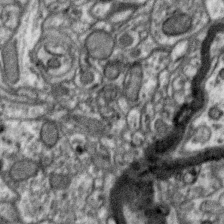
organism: Zebra finch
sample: Brain